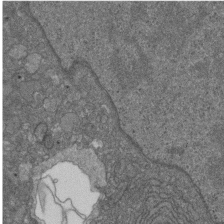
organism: Drosophila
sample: Nephrocyte